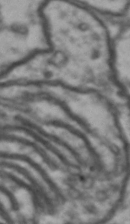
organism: Drosophila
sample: Brain